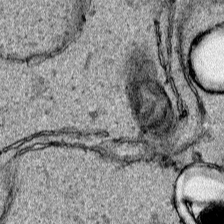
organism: Human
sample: Mitochondria in HCT116 cells